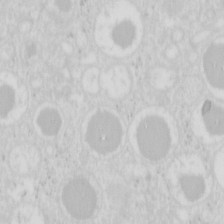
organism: Mouse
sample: Pancreas